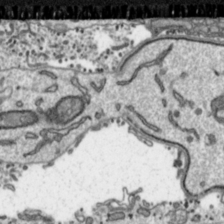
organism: Toxoplasma gondii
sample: Parasites in a vacuole inside a host cell